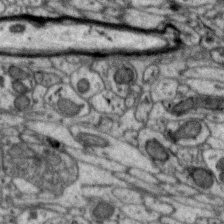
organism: Zebra finch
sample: Brain